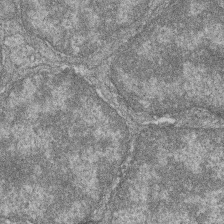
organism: Zebrafish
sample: Cilia; retinal pigment epithelium